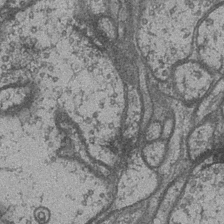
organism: Drosophila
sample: Optic medulla